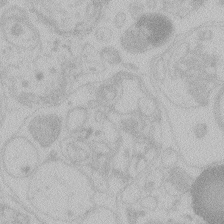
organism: Zebrafish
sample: Macrophage infected with Toxoplasma gondii